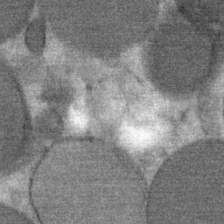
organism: Mouse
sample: Mouse Salivary gland